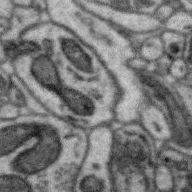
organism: Zebra finch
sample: Brain